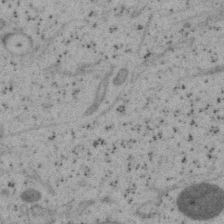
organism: Human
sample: HeLa cells